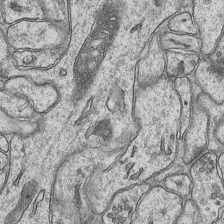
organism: Mouse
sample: CA1 Hippocampus